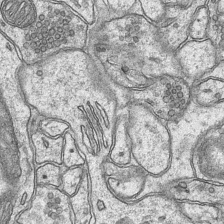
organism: Mouse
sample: CA1 Hippocampus